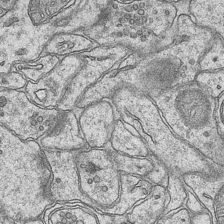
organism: Mouse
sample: CA1 Hippocampus